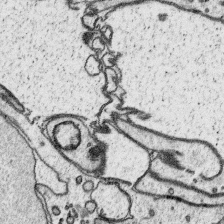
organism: Platynereis dumerilii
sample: Parapodia